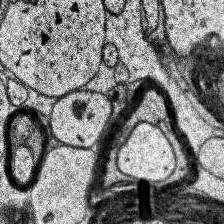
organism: Human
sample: Temporal Lobe